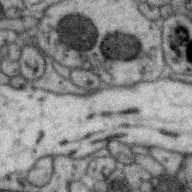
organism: Zebra finch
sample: Brain